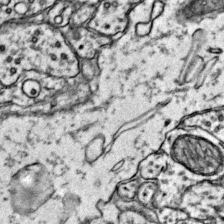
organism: Mouse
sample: Primary visual cortex